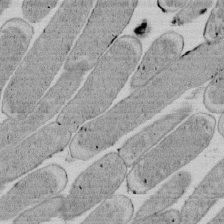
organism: E. coli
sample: Bacterial nucleoid